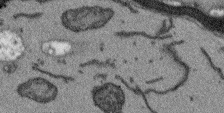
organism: Arabidopsis thaliana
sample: Root tip